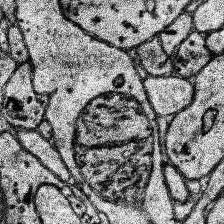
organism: Human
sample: Temporal Lobe